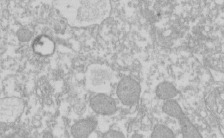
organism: Xenopus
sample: Cilia; centrioles in frog embryo cells